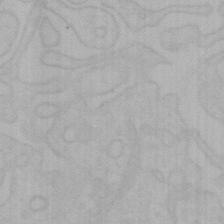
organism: Mouse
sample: Choroid plexus